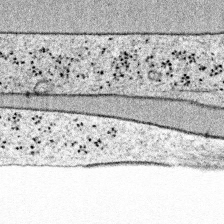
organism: Human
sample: HeLa cells